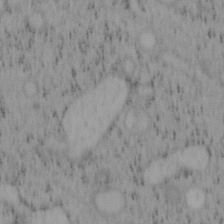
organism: Mouse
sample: OT-I killer T cells with ID8 ovarian cancer cells